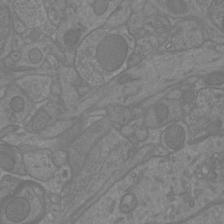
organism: Mouse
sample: Cortical neurons